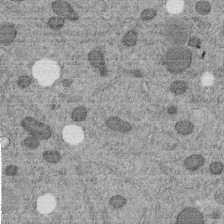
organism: C. elegans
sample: C. elegans embryo early stage